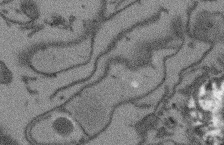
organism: Arabidopsis thaliana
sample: Root tip